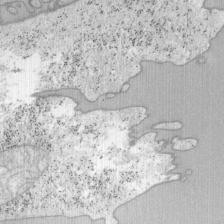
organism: Mouse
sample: OT-I killer T cells with ID8 ovarian cancer cells